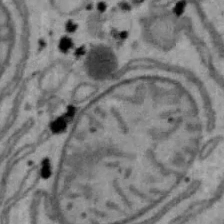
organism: Mouse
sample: Liver